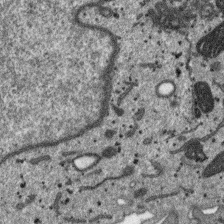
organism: Human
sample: Lung epithelial cells infected with SARS-CoV-2